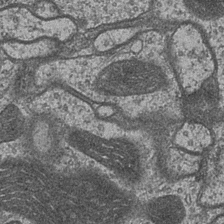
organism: Drosophila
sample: Optic medulla